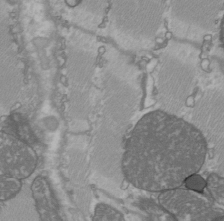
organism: C57BL Mouse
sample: Heart